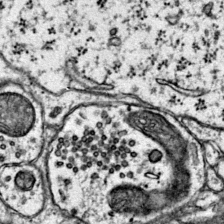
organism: Mouse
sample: Primary visual cortex